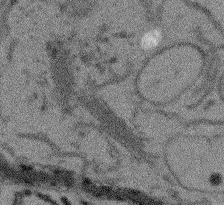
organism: Arabidopsis thaliana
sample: Root tip